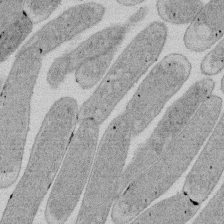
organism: E. coli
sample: Bacterial nucleoid